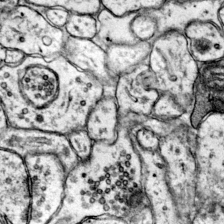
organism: Mouse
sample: Primary visual cortex